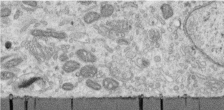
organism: Human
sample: Centriole in RPE cells